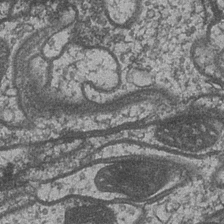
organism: Drosophila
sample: Optic medulla